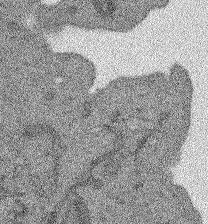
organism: Human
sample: HeLa cells